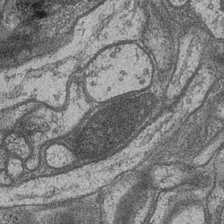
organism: Drosophila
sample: Optic medulla